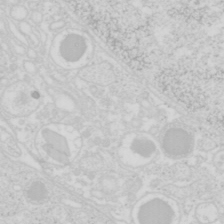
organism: Mouse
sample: Pancreas